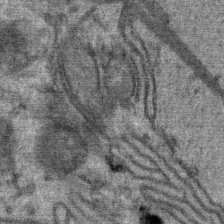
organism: Mouse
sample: Mouse Salivary gland